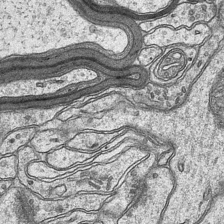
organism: Mouse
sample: CA1 Hippocampus